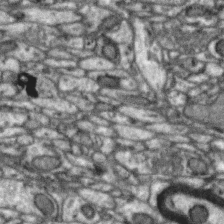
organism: Zebra finch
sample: Brain